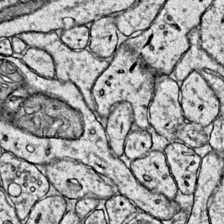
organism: Mouse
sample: Primary visual cortex